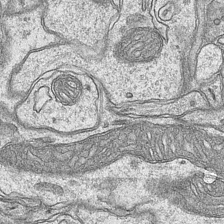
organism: Mouse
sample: CA1 Hippocampus